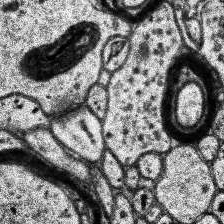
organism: Human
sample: Temporal Lobe